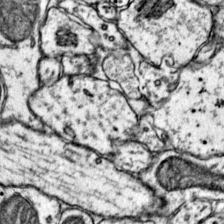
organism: Mouse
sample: Primary visual cortex